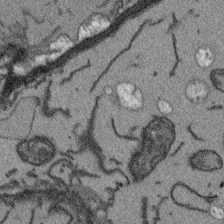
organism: Arabidopsis thaliana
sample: Root tip